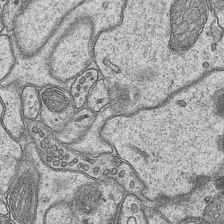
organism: Mouse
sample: CA1 Hippocampus